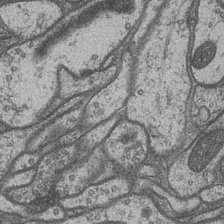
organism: Drosophila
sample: Optic medulla